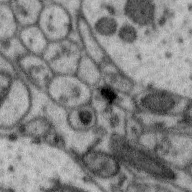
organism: Zebra finch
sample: Brain